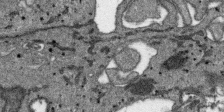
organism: Human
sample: Lung epithelial cells, uninfected (mock) control